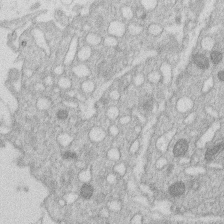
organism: Human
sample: Macrophage cells